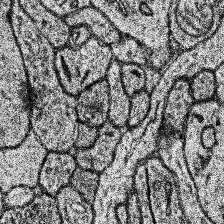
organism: Human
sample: Temporal Lobe